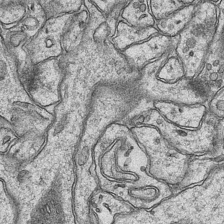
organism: Mouse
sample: CA1 Hippocampus